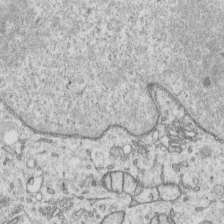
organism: Human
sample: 1205lu cells